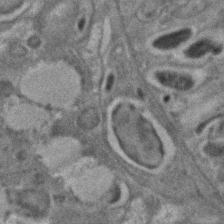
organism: C. elegans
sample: C. elegans embryo